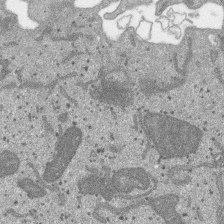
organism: Human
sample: Lung epithelial cells infected with SARS-CoV-2